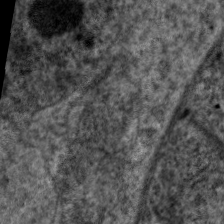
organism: C. elegans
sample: Pharynx